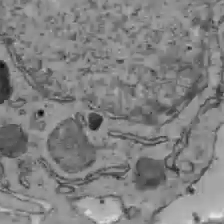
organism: C57BL Mouse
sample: Liver